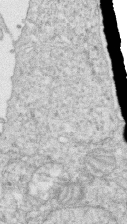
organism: Human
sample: HeLa cell HIV synapse